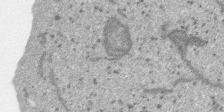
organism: Human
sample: Lung epithelial cells infected with SARS-CoV-2